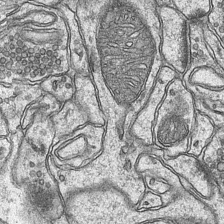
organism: Mouse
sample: CA1 Hippocampus